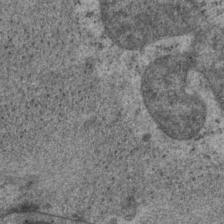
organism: P. pacificus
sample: Pharynx